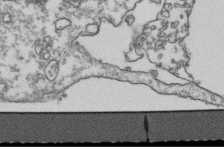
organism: Human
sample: Activated Jurkat CD4+ T cells